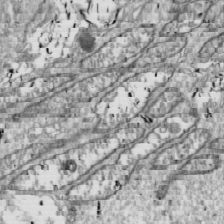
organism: Drosophila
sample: Cell division; meiosis; drosophila spermatocytes